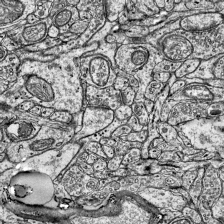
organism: Mouse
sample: Visual Cortex